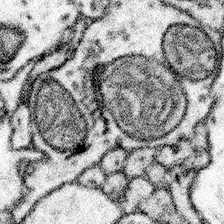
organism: Mouse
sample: Somatosensory cortex neuropil